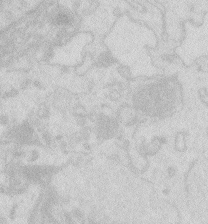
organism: Zebrafish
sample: Macrophage